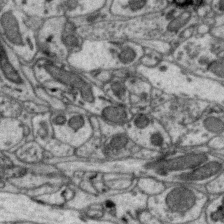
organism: Zebra finch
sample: Brain